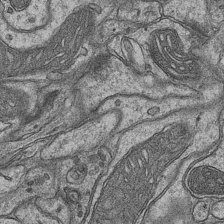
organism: Mouse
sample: CA1 Hippocampus